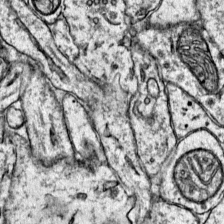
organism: Mouse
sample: Primary visual cortex